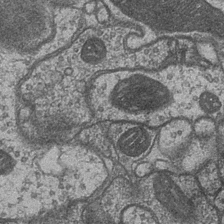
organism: Drosophila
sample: Optic medulla